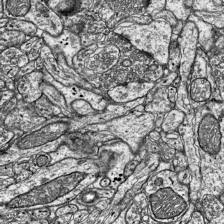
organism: Mouse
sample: Visual Cortex